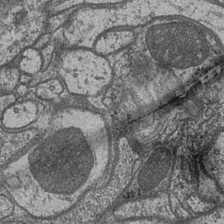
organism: Drosophila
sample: Optic medulla